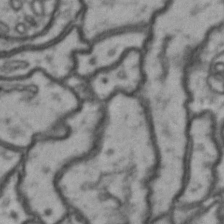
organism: Drosophila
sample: Brain